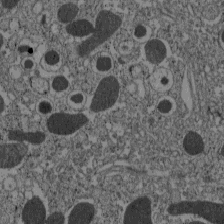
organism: C57BL Mouse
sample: Pancreatic islet